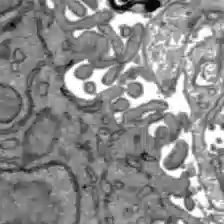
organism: C57BL Mouse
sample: Liver